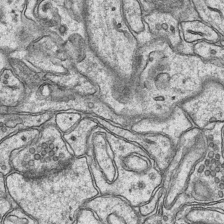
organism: Mouse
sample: CA1 Hippocampus